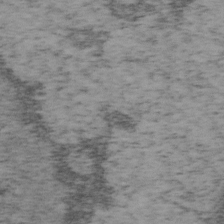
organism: Mouse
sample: OT-I killer T cells with ID8 ovarian cancer cells